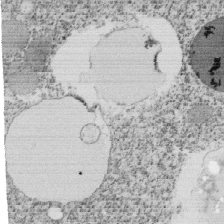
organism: Tetrahymena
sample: Cilia in tetrahymena